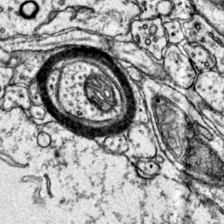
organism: Mouse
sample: Primary visual cortex